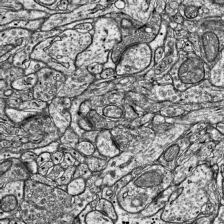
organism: Mouse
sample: Visual Cortex